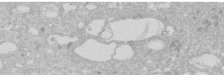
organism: Human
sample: Caco-2 cells